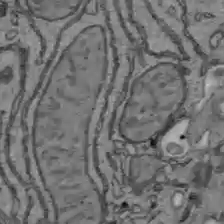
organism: C57BL Mouse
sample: Liver